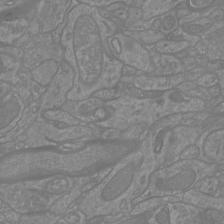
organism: Mouse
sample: Cortical neurons